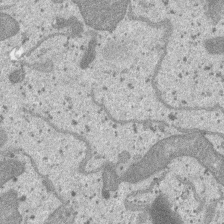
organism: Human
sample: Lung epithelial cells infected with SARS-CoV-2